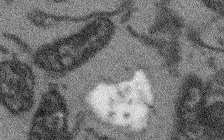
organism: Arabidopsis thaliana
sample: Root tip